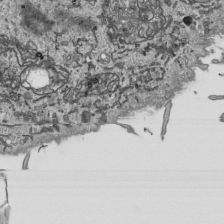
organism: Human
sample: Mitochondria in HCT116 cells